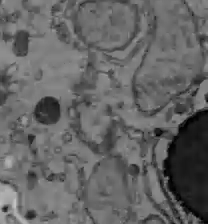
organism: C57BL Mouse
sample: Liver